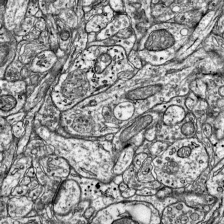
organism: Mouse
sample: Visual Cortex